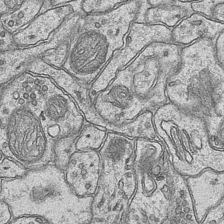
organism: Mouse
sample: CA1 Hippocampus